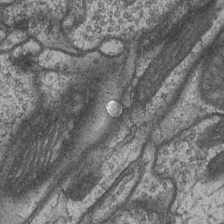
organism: Drosophila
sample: Optic medulla